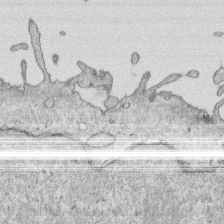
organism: Human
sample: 1205lu cells